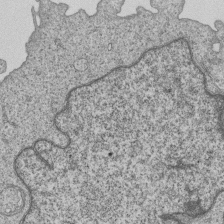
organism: Human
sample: MDA-MB-231 cells